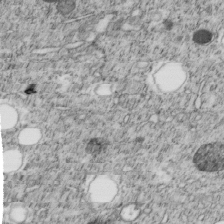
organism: C. elegans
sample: C. elegans embryo early stage